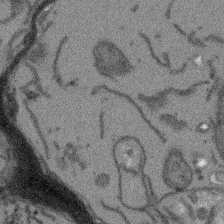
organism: Arabidopsis thaliana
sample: Root tip